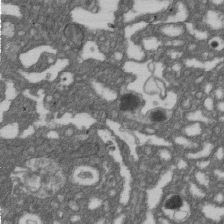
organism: Drosophila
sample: Nephrocyte